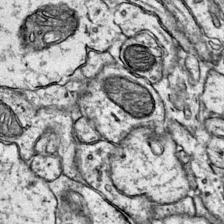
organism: Mouse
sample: Primary visual cortex